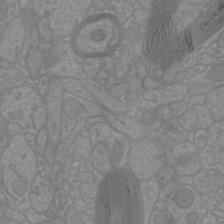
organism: Mouse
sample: Cortical neurons